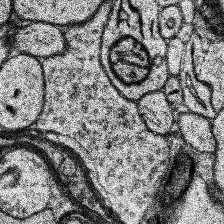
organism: Human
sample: Temporal Lobe